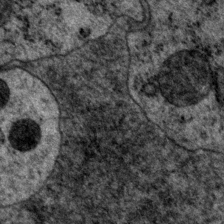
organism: P. pacificus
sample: Pharynx